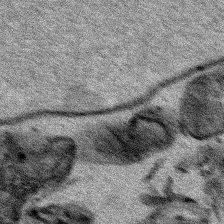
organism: Human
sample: Mitochondria in HCT116 cells